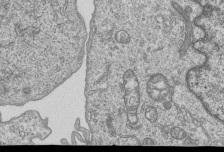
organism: Human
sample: MDA-MB-231 cells